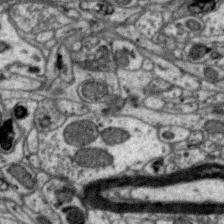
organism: Zebra finch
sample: Brain